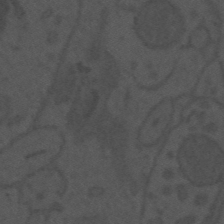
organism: Mouse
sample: Suprachiasmatic nucleus